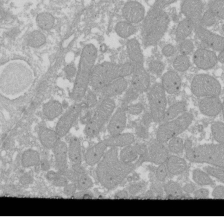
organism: Xenopus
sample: Cilia; centrioles in frog embryo cells